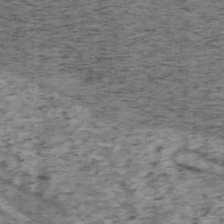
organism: Mouse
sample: OT-I killer T cells with ID8 ovarian cancer cells